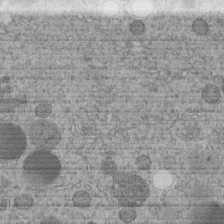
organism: C. elegans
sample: C. elegans embryo early stage